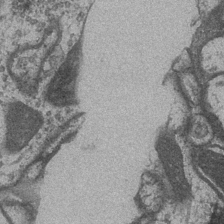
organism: Drosophila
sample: Optic medulla